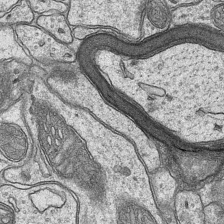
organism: Mouse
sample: CA1 Hippocampus